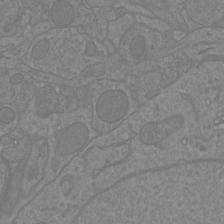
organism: Mouse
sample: Cortical neurons